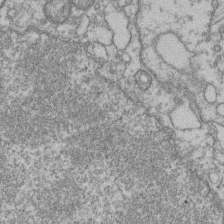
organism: Mouse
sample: T cell stromal cell synapse